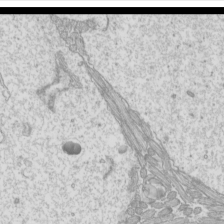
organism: Mouse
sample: Cilia; mouse epididymis